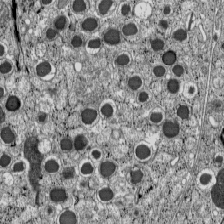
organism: C57BL Mouse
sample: Pancreatic islet